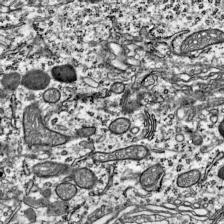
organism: Mouse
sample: Visual Cortex